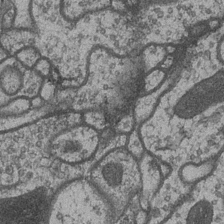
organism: Drosophila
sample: Optic medulla